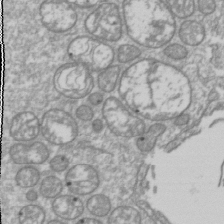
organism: Drosophila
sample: Cell division; meiosis; drosophila spermatocytes